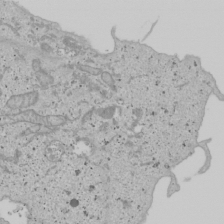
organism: Human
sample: Mitochondria in U2OS cells